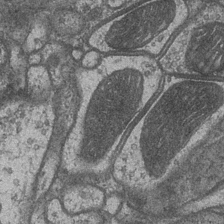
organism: Drosophila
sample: Optic medulla